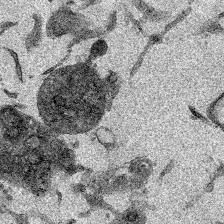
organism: Mouse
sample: Cancer cell death in ED-1 cells